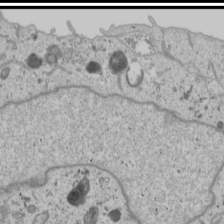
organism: Human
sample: Mitochondria in U2OS cells